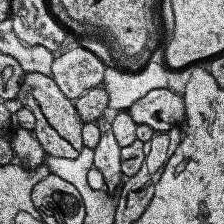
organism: Human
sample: Temporal Lobe